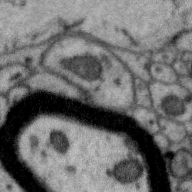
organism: Zebra finch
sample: Brain